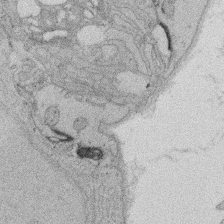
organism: Rat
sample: Salivary granule